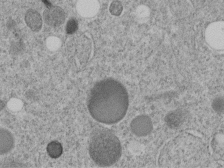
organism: C. elegans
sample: C. elegans embryo early stage